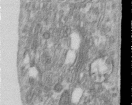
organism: Human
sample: Centriole in RPE cells